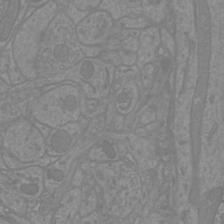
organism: Mouse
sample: Cortical neurons